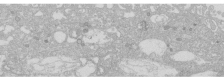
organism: Human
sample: Caco-2 cells